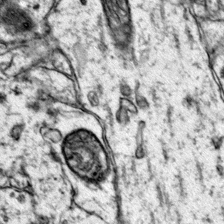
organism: Mouse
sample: Primary visual cortex